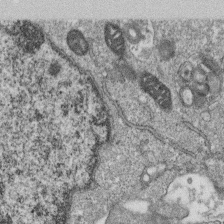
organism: African green monkey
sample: Vero E6 cells infected with SARS-CoV-2